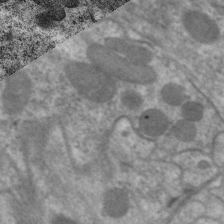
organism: C. elegans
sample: Pharynx